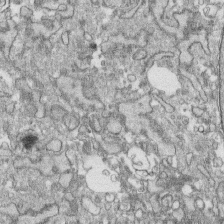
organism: Human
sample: CRL-1474